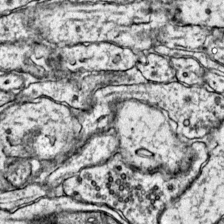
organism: Mouse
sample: Primary visual cortex